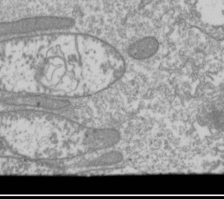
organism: Drosophila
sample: Cell division; meiosis; drosophila spermatocytes